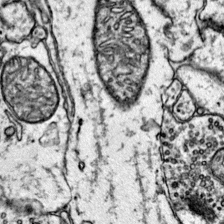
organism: Mouse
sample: Primary visual cortex